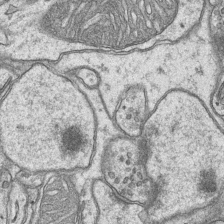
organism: Mouse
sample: CA1 Hippocampus